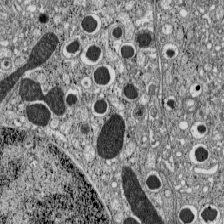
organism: C57BL Mouse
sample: Pancreatic islet